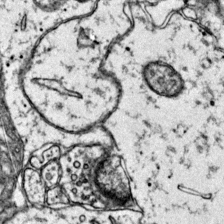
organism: Mouse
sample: Primary visual cortex